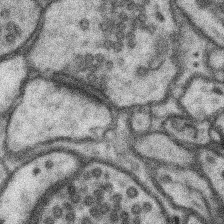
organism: Mouse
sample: Somatosensory cortex neuropil